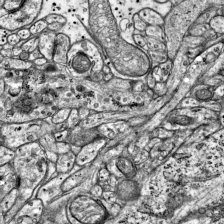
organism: Mouse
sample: Visual Cortex